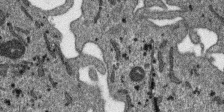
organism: Human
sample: Lung epithelial cells infected with SARS-CoV-2